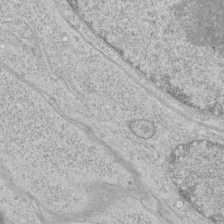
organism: Human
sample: Mitochondria in HCT116 cells